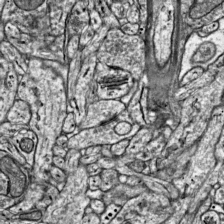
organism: Mouse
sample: Visual Cortex